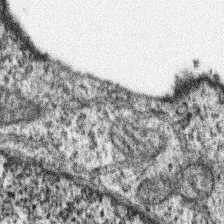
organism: Human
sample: HeLa cells